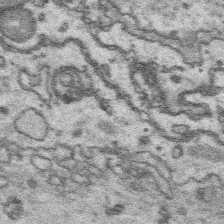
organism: Platynereis dumerilii